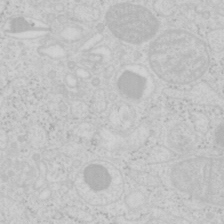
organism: Mouse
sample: Pancreas